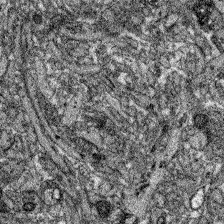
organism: Zebrafish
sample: Larval olfactory bulb